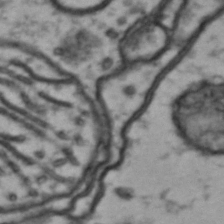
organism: Drosophila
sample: Brain